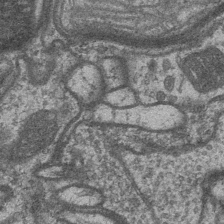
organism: Drosophila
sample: Optic medulla